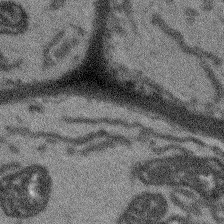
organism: Arabidopsis thaliana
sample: Root tip